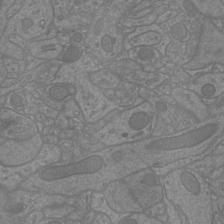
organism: Mouse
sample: Cortical neurons